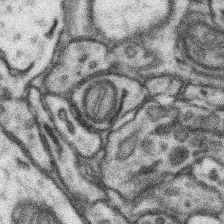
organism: Mouse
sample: Somatosensory cortex neuropil